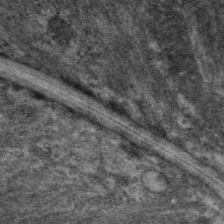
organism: C. elegans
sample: Pharynx